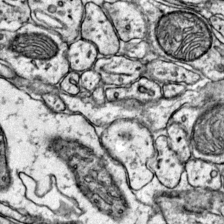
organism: Mouse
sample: Primary visual cortex